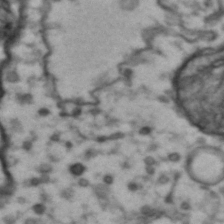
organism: Drosophila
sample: Brain